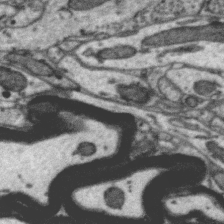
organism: Zebra finch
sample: Brain